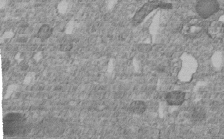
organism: C. elegans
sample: C. elegans embryo early stage